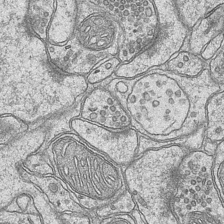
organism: Mouse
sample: CA1 Hippocampus